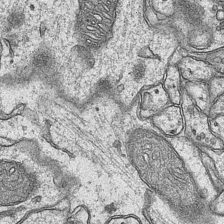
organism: Mouse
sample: CA1 Hippocampus